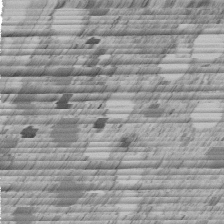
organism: C. elegans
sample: C. elegans embryo early stage